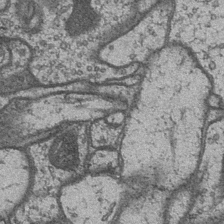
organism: Drosophila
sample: Optic medulla